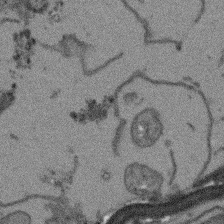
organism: Arabidopsis thaliana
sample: Root tip